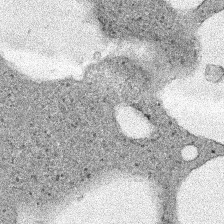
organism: Human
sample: Mitochondria in HCT116 cells